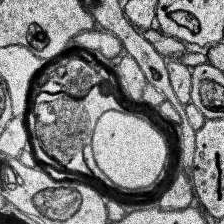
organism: Human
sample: Temporal Lobe